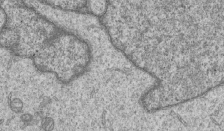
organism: Human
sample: MDA-MB-231 cells